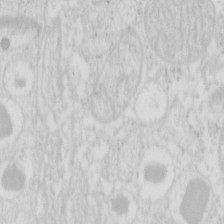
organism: Mouse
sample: Pancreas